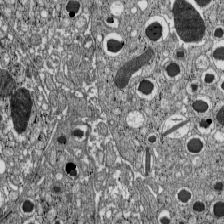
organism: C57BL Mouse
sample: Pancreatic islet